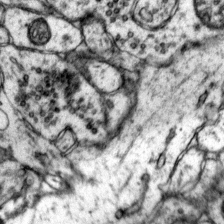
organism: Mouse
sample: Primary visual cortex